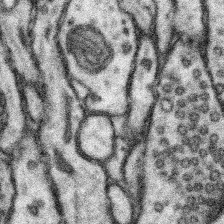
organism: Mouse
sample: Somatosensory cortex neuropil